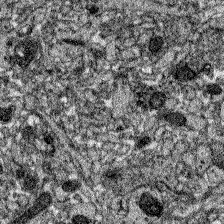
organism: Zebrafish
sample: Larval olfactory bulb